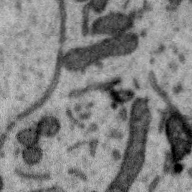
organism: Zebra finch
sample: Brain